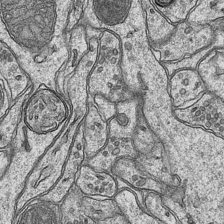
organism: Mouse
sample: CA1 Hippocampus